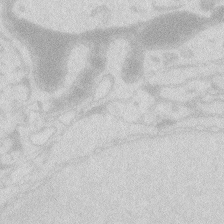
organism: Zebrafish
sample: Macrophage